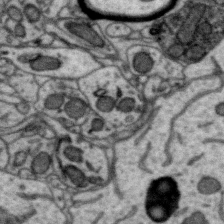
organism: Zebra finch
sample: Brain